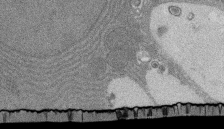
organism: Rat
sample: Salivary granule